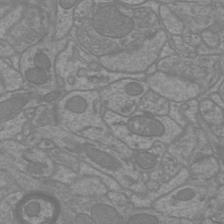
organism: Mouse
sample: Cortical neurons